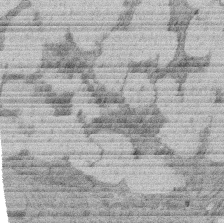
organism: Rat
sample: Salivary granule